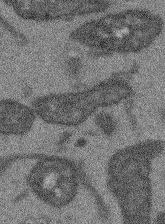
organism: Arabidopsis thaliana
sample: Root tip